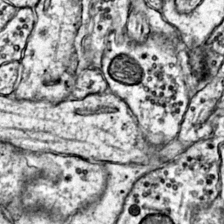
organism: Mouse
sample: Primary visual cortex